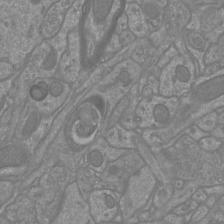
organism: Mouse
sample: Cortical neurons